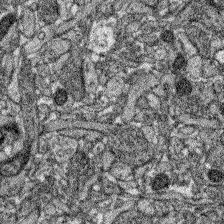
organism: Zebrafish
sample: Larval olfactory bulb